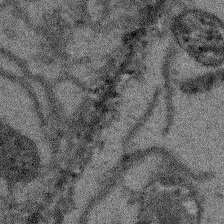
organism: Arabidopsis thaliana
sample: Root tip